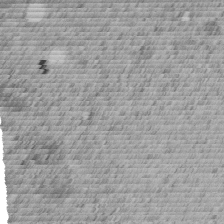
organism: C. elegans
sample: C. elegans embryo early stage